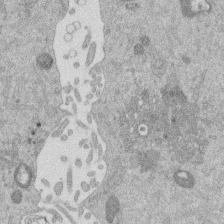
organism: Mouse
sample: Dividing mouse embryo 1 cell stage